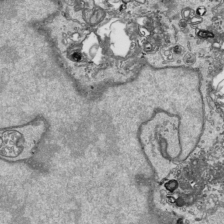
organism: Human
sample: Mitochondria in HCT116 cells